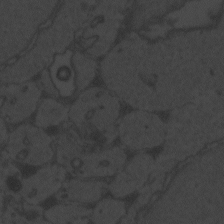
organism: Zebrafish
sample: Macrophage infected with Toxoplasma gondii